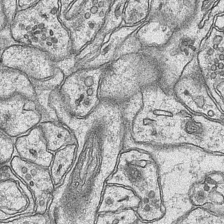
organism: Mouse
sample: CA1 Hippocampus